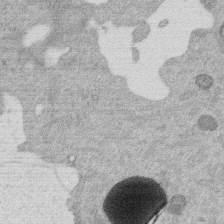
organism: Mouse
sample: Dividing mouse embryo 1 cell stage